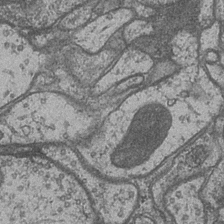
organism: Drosophila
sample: Optic medulla